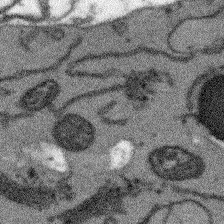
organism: Arabidopsis thaliana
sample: Root tip